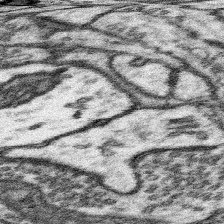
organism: Mouse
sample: Somatosensory cortex neuropil